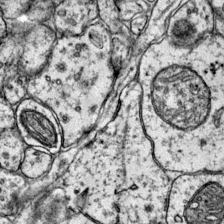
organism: Mouse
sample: Primary visual cortex